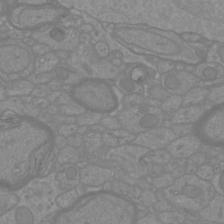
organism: Mouse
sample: Cortical neurons